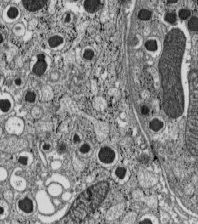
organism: C57BL Mouse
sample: Pancreatic islet